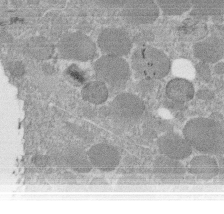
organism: C. elegans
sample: C. elegans embryo early stage